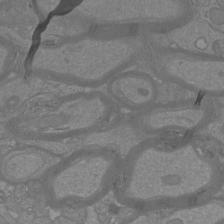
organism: Mouse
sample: Cortical neurons